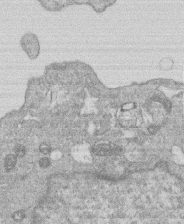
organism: Human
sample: Macrophage cells